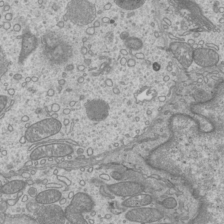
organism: Mouse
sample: Cilia; mouse epididymis